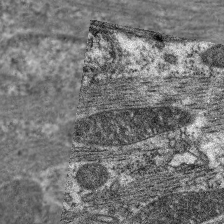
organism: C. elegans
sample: Pharynx